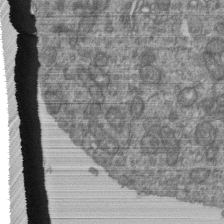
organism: Human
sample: Retinal organoid Rod and Cone cells